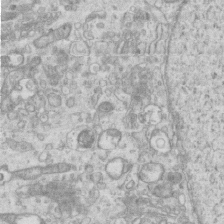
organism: Mouse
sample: Centriole in ependymal cells